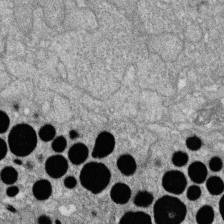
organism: Zebrafish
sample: Cilia; retinal pigment epithelium